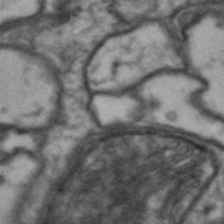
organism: Drosophila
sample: Brain